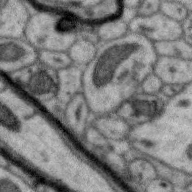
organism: Zebra finch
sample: Brain